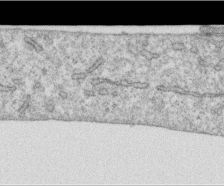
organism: Human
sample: Centriole in RPE cells